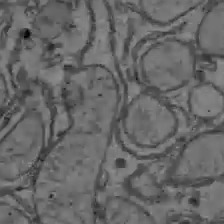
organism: C57BL Mouse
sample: Liver